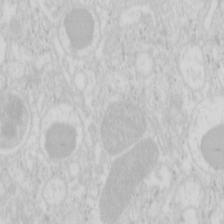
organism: Mouse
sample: Pancreas